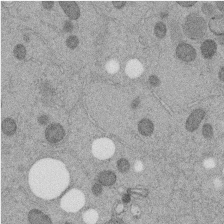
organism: C. elegans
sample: C. elegans embryo early stage